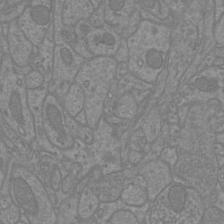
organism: Mouse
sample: Cortical neurons